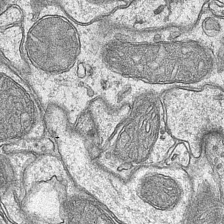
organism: Mouse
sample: CA1 Hippocampus